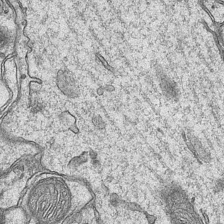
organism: Mouse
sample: CA1 Hippocampus